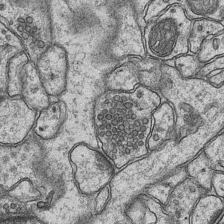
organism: Mouse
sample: CA1 Hippocampus